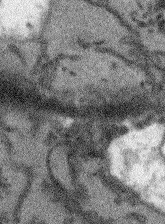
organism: Arabidopsis thaliana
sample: Root tip